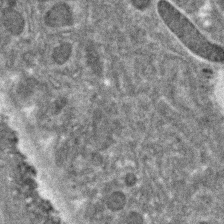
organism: C. elegans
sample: C. elegans embryo